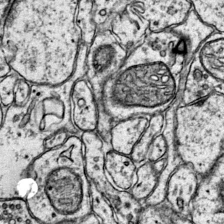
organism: Mouse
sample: Primary visual cortex